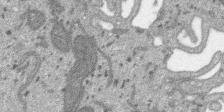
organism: Human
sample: Lung epithelial cells infected with SARS-CoV-2